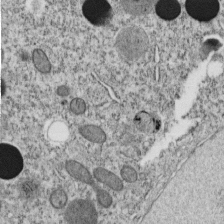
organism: C. elegans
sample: C. elegans embryo early stage